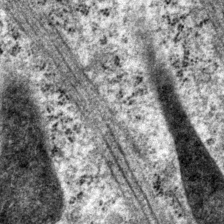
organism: P. pacificus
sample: Pharynx